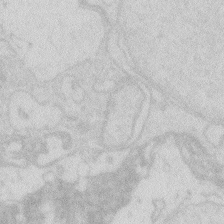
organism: Zebrafish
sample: Macrophage